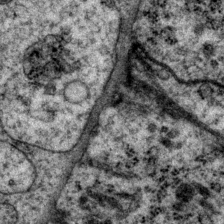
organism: P. pacificus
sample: Pharynx